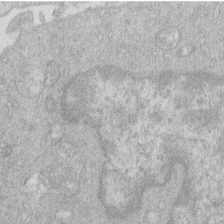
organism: Human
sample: Macrophage cells